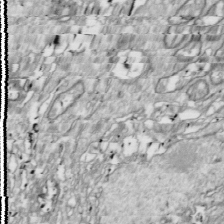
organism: Drosophila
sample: Cell division; meiosis; drosophila spermatocytes